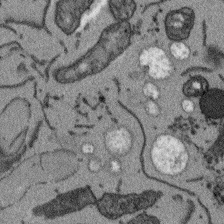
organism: Arabidopsis thaliana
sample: Root tip